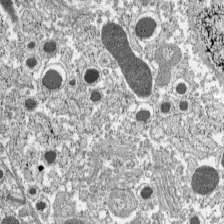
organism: C57BL Mouse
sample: Pancreatic islet